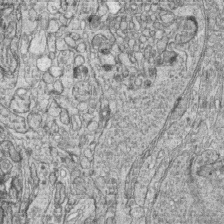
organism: Zebrafish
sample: synaptic ribbons in rod cells and cone cells